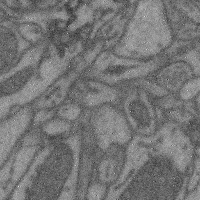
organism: Mouse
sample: Cerebral cortex